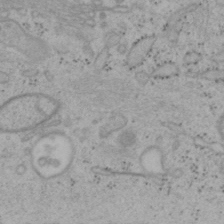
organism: Human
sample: HeLa cells